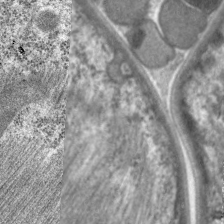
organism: C. elegans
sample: Pharynx